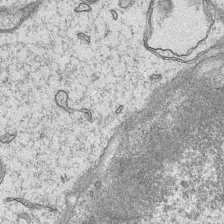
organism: Mouse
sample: CA1 Hippocampus